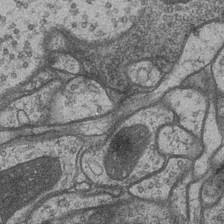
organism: Drosophila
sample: Optic medulla